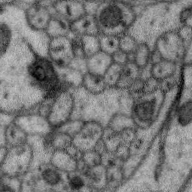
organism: Zebra finch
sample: Brain